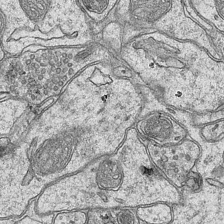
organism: Mouse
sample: CA1 Hippocampus